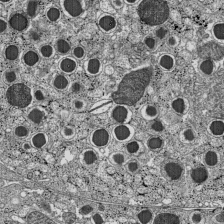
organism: C57BL Mouse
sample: Pancreatic islet